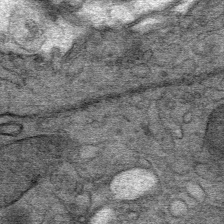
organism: Mouse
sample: Mouse Salivary gland